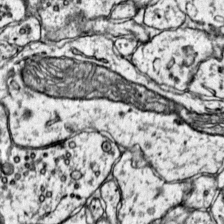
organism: Mouse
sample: Primary visual cortex